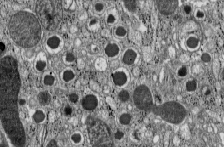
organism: C57BL Mouse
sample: Pancreatic islet